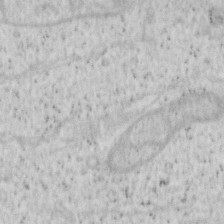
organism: Human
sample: HeLa cells